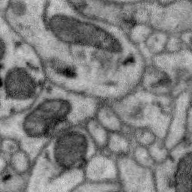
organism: Zebra finch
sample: Brain